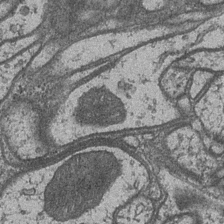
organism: Drosophila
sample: Optic medulla